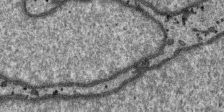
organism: Human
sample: Lung epithelial cells, uninfected (mock) control